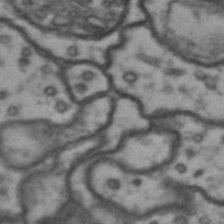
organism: Drosophila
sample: Brain